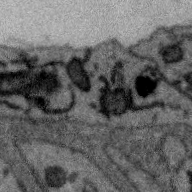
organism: Zebra finch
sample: Brain